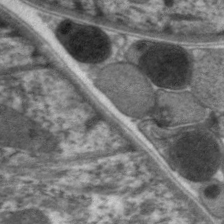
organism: C. elegans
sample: Pharynx